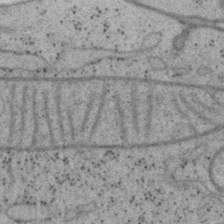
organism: Human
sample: HeLa cells